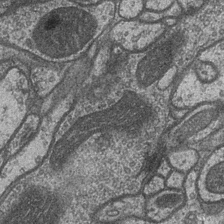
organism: Drosophila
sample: Optic medulla